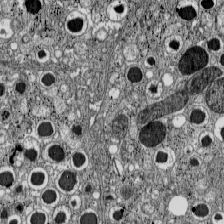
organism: C57BL Mouse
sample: Pancreatic islet